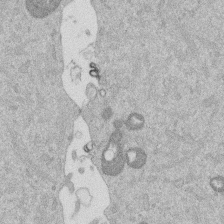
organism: Mouse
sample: Dividing mouse embryo 1 cell stage